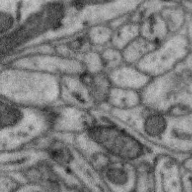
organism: Zebra finch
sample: Brain